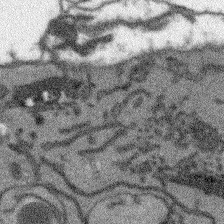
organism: Arabidopsis thaliana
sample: Root tip